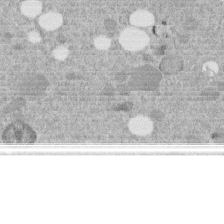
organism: C. elegans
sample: C. elegans embryo early stage